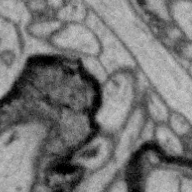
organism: Zebra finch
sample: Brain